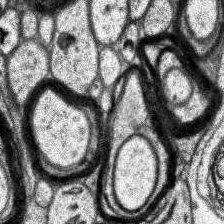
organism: Human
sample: Temporal Lobe